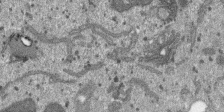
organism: Human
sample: Lung epithelial cells infected with SARS-CoV-2